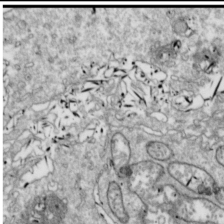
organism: Drosophila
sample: Cell division; meiosis; drosophila spermatocytes